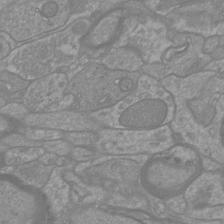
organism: Mouse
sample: Cortical neurons